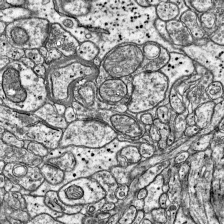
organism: Mouse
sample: Visual Cortex